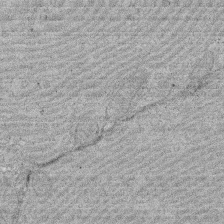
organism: Rat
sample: Salivary granule